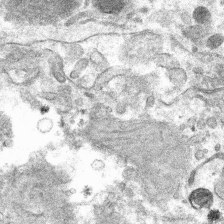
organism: Mouse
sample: Mouse hepatocytes